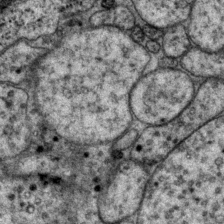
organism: P. pacificus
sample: Pharynx